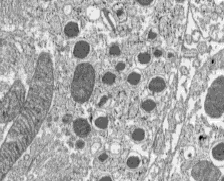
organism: C57BL Mouse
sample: Pancreatic islet